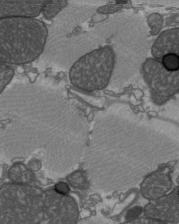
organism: C57BL Mouse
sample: Heart